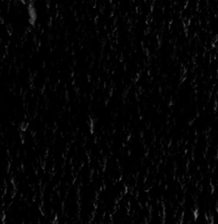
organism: Toxoplasma gondii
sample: Parasites in a vacuole inside a host cell